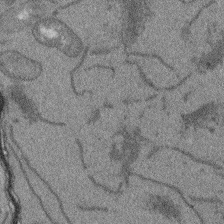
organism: Arabidopsis thaliana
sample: Root tip